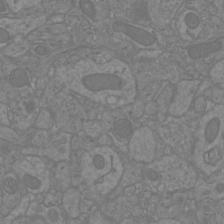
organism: Mouse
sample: Cortical neurons